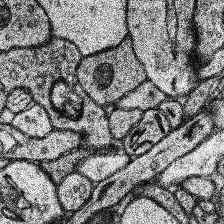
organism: Human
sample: Temporal Lobe